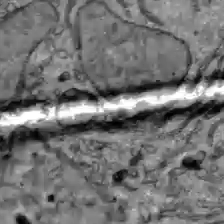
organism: C57BL Mouse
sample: Liver